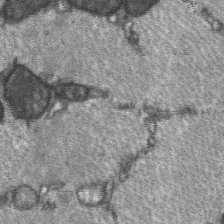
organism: C57BL Mouse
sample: Soleus